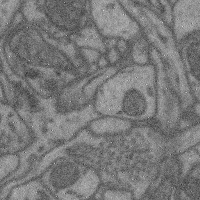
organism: Mouse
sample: Cerebral cortex